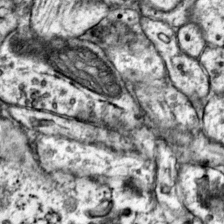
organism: Mouse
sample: Primary visual cortex